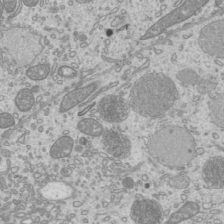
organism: Mouse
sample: Cilia; mouse epididymis